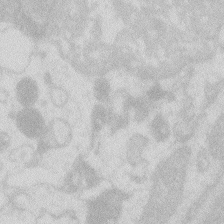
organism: Zebrafish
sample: Macrophage